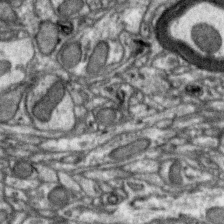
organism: Zebra finch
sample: Brain